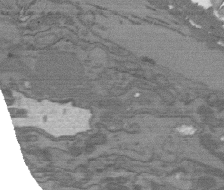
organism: C. elegans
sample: AFD neurons C. elegans